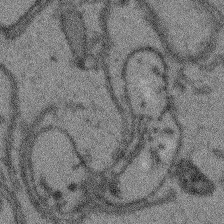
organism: Arabidopsis thaliana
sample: Root tip